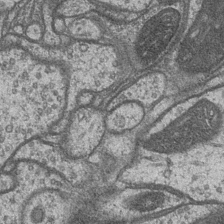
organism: Drosophila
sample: Optic medulla